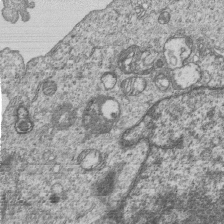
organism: Human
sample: MDA-MB-231 cells